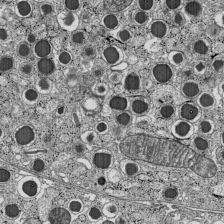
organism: C57BL Mouse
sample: Pancreatic islet